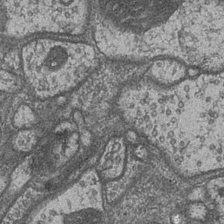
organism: Drosophila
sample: Optic medulla